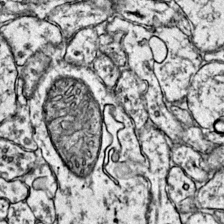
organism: Mouse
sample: Primary visual cortex